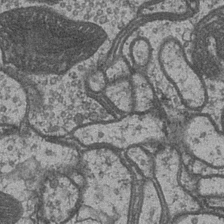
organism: Drosophila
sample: Optic medulla